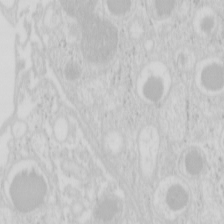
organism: Mouse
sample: Pancreas